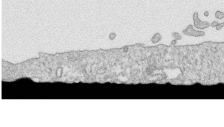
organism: Human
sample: HeLa cell HIV synapse